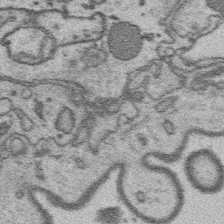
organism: Platynereis dumerilii